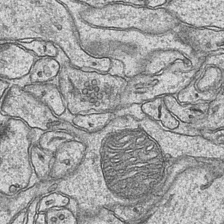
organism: Mouse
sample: CA1 Hippocampus